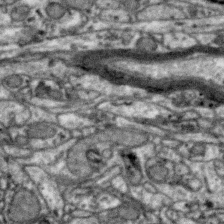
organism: Zebra finch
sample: Brain